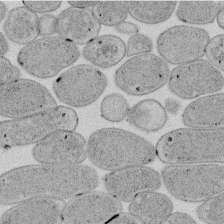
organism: E. coli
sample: Bacterial nucleoid